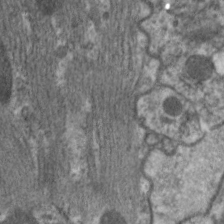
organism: C. elegans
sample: Pharynx